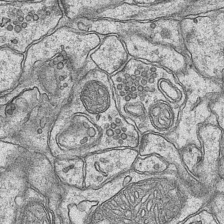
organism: Mouse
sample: CA1 Hippocampus